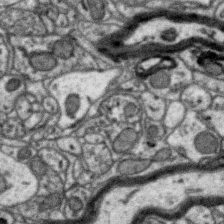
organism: Zebra finch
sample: Brain